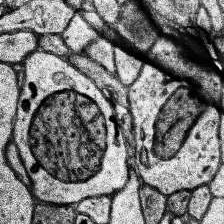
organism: Human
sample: Temporal Lobe